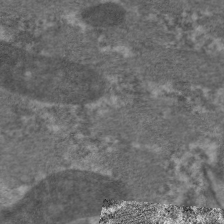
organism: C. elegans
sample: Pharynx